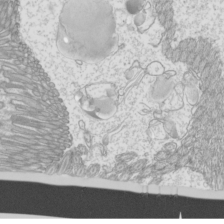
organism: Mouse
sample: Cilia; mouse epididymis